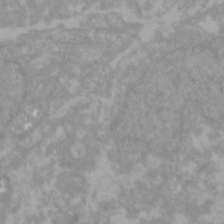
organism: Zebrafish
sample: Zebrafish embryo